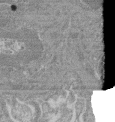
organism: Mouse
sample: Glomerulus